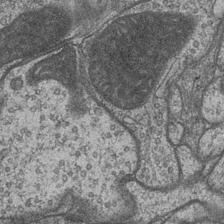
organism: Drosophila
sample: Optic medulla